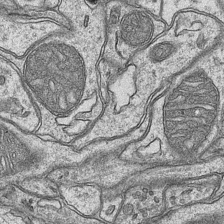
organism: Mouse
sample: CA1 Hippocampus